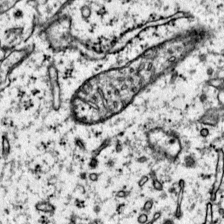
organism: Mouse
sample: Primary visual cortex